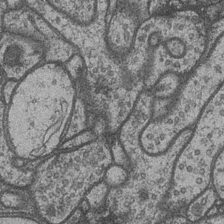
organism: Drosophila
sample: Optic medulla